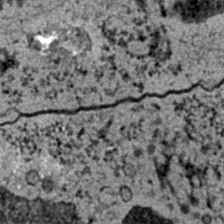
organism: C. elegans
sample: C. elegans embryo